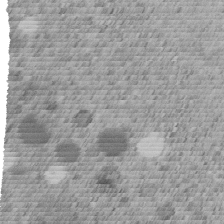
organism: C. elegans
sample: C. elegans embryo early stage